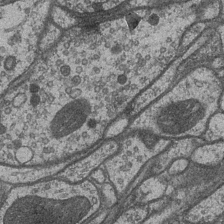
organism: Drosophila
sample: Optic medulla